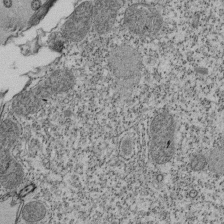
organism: Tetrahymena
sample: Cilia in tetrahymena